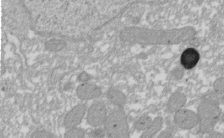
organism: Xenopus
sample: Cilia; centrioles in frog embryo cells